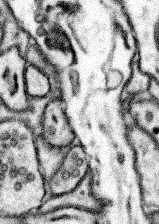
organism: Mouse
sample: Somatosensory cortex neuropil